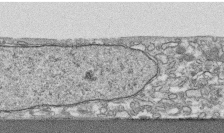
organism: Human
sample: CRL-1474